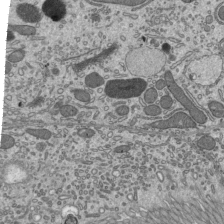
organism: Mouse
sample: Mouse epididymis efferent ductule cilia